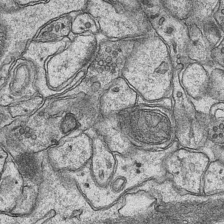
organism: Mouse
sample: CA1 Hippocampus